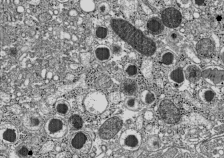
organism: C57BL Mouse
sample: Pancreatic islet